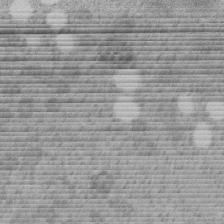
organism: C. elegans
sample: C. elegans embryo early stage